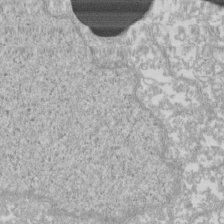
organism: Xenopus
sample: Cilia; centrioles in frog embryo cells